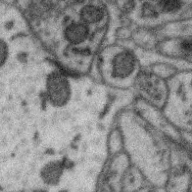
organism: Zebra finch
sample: Brain